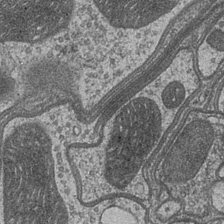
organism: Drosophila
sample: Optic medulla